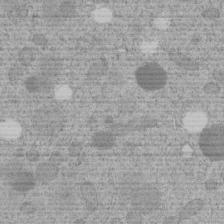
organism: C. elegans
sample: C. elegans embryo early stage